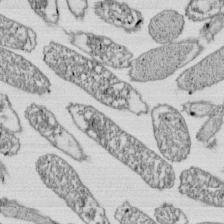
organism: E. coli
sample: Bacterial nucleoid